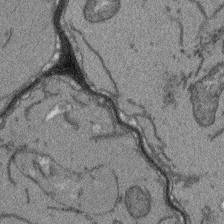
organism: Arabidopsis thaliana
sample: Root tip